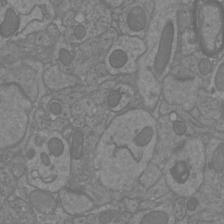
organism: Mouse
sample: Cortical neurons